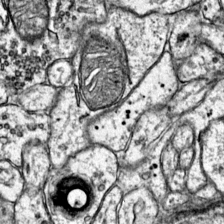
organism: Mouse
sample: Primary visual cortex